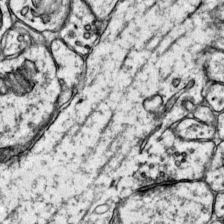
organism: Mouse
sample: Primary visual cortex